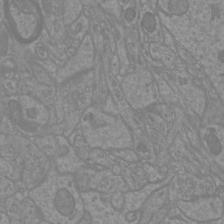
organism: Mouse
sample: Cortical neurons